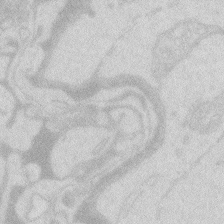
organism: Zebrafish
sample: Macrophage